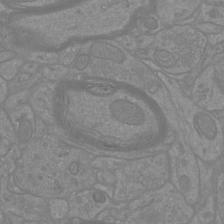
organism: Mouse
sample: Cortical neurons